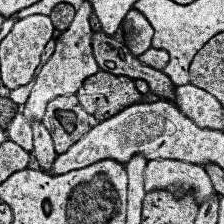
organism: Human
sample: Temporal Lobe